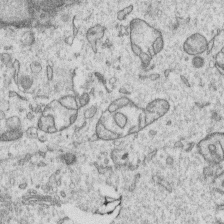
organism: Human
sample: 1205lu cells